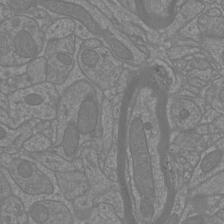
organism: Mouse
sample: Cortical neurons